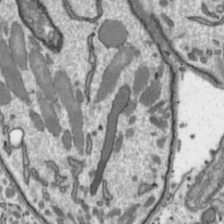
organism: Toxoplasma gondii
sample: Parasites in a vacuole inside a host cell